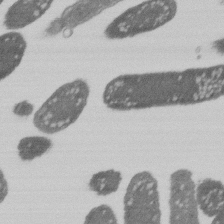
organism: E. coli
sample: Bacterial nucleoid